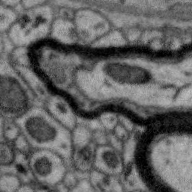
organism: Zebra finch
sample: Brain